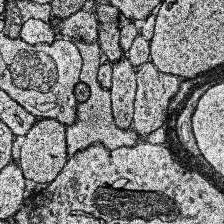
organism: Human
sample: Temporal Lobe